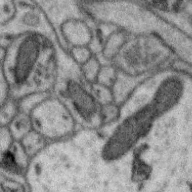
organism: Zebra finch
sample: Brain